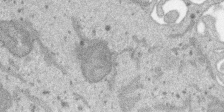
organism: Human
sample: Lung epithelial cells infected with SARS-CoV-2